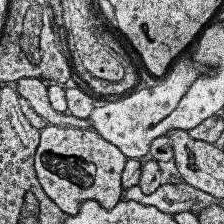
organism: Human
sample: Temporal Lobe